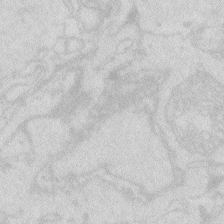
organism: Zebrafish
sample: Macrophage